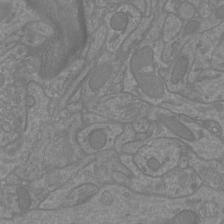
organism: Mouse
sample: Cortical neurons